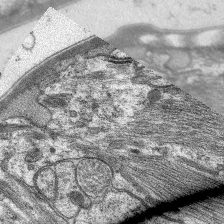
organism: C. elegans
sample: Pharynx